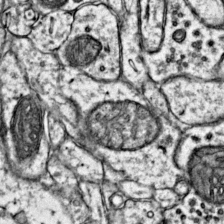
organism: Mouse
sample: Primary visual cortex